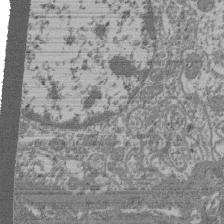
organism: Mouse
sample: Glomerulus